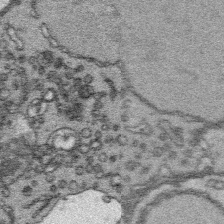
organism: Platynereis dumerilii